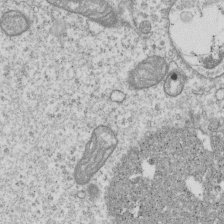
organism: Human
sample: MDA-MB-231 cells